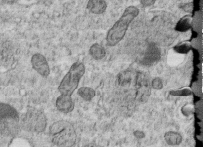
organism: C. elegans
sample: C. elegans embryo early stage